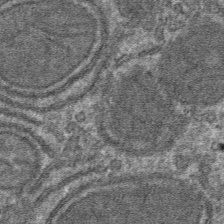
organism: Mouse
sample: Mouse hepatocytes